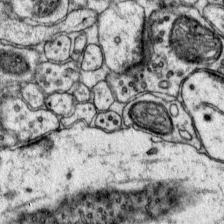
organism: Mouse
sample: Primary visual cortex